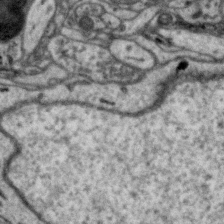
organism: Zebra finch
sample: Brain